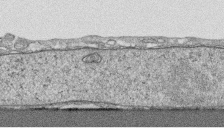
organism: Human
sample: CRL-1474